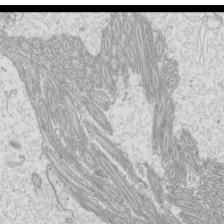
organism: Mouse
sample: Cilia; mouse epididymis